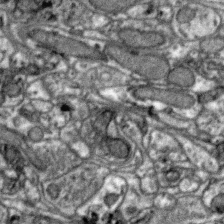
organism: Zebra finch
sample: Brain